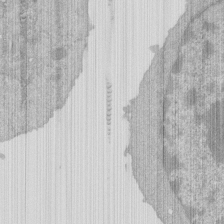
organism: Mouse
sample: Activated Pmel transgenic CD8+ T Cells